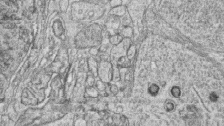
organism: Zebrafish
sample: synaptic ribbons in rod cells and cone cells